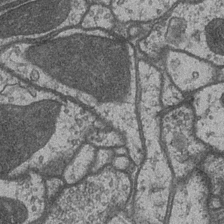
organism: Drosophila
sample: Optic medulla